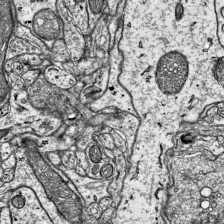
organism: Mouse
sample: Visual Cortex